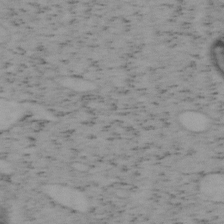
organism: Mouse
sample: OT-I killer T cells with ID8 ovarian cancer cells